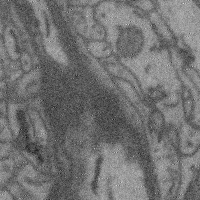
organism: Mouse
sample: Cerebral cortex